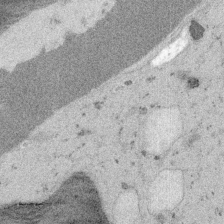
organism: Embia sp.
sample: Silk gland